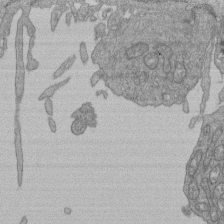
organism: Human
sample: Retinal organoid Rod and Cone cells